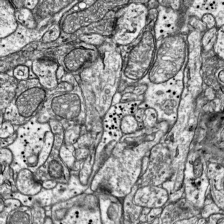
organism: Mouse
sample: Visual Cortex